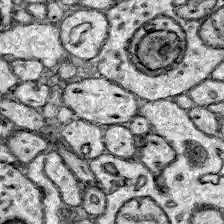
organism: Zebrafish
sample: Brain